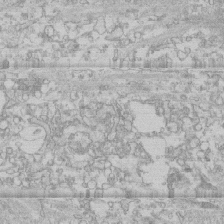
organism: Human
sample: CRL-1474